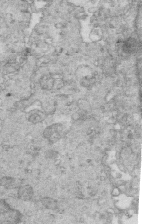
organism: Mouse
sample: Multiciliated cells